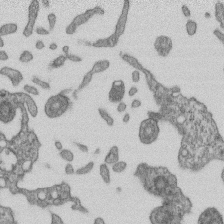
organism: Mouse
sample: Centriole in ependymal cells